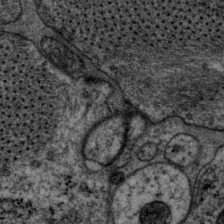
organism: P. pacificus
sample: Pharynx